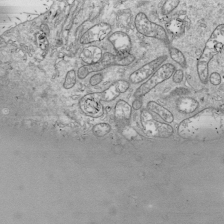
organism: Drosophila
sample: Cell division; meiosis; drosophila spermatocytes